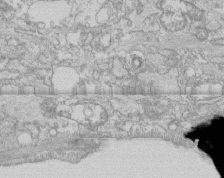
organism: Human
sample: CRL-1474